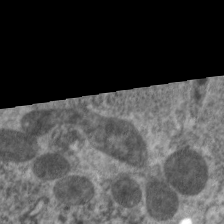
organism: C. elegans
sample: Pharynx